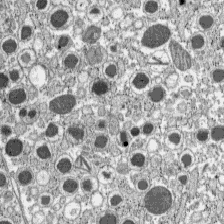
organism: C57BL Mouse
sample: Pancreatic islet